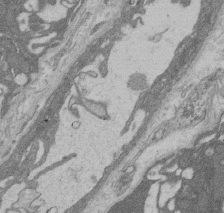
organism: Rat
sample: Salivary granule